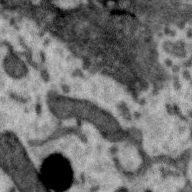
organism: Zebra finch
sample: Brain